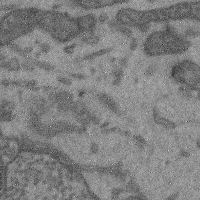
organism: Mouse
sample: Cerebral cortex